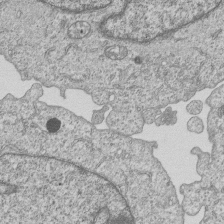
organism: Human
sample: MDA-MB-231 cells